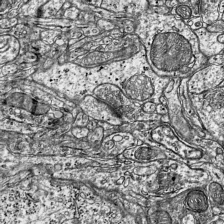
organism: Mouse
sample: Visual Cortex